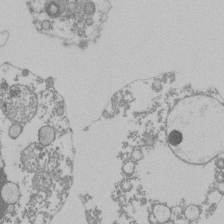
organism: Mouse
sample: Activated Pmel transgenic CD8+ T Cells